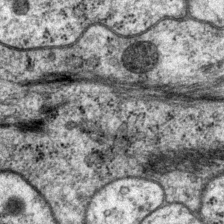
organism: P. pacificus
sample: Pharynx